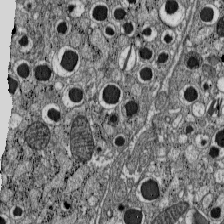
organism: C57BL Mouse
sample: Pancreatic islet